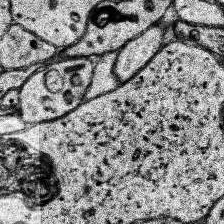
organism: Human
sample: Temporal Lobe